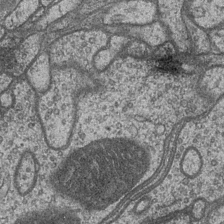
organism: Drosophila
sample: Optic medulla